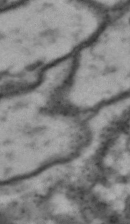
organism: Drosophila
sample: Brain